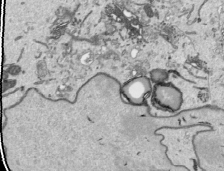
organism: Human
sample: Mitochondria in HCT116 cells